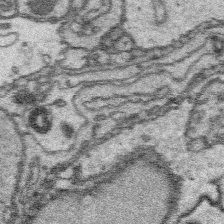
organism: Platynereis dumerilii